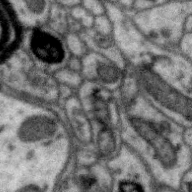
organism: Zebra finch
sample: Brain